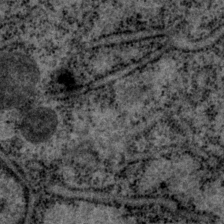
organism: P. pacificus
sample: Pharynx